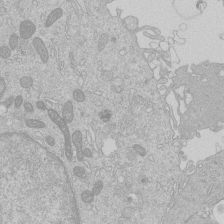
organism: Human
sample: Macrophage cells